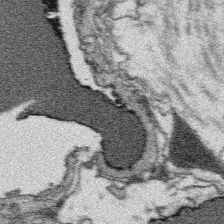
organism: Platynereis dumerilii